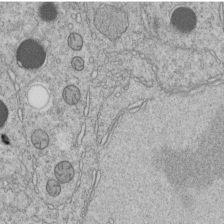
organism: C. elegans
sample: C. elegans embryo early stage